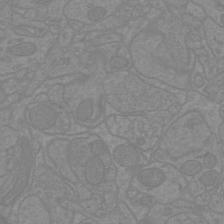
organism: Mouse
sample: Cortical neurons